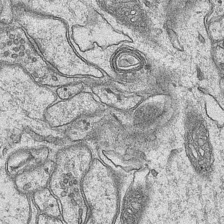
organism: Mouse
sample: CA1 Hippocampus